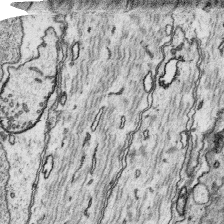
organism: Platynereis dumerilii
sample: Parapodia